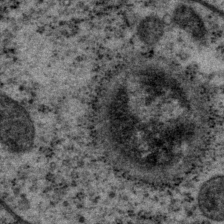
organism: P. pacificus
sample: Pharynx